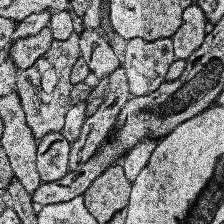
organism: Human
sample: Temporal Lobe